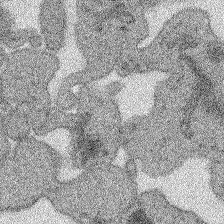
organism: Human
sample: HeLa cells